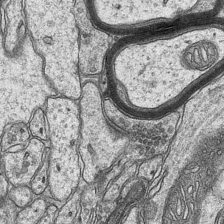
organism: Mouse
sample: CA1 Hippocampus